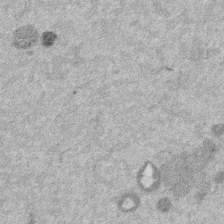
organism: Mouse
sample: Dividing mouse embryo 1 cell stage